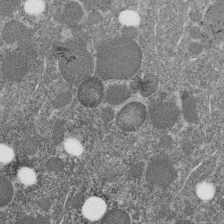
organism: C. elegans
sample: C. elegans embryo early stage